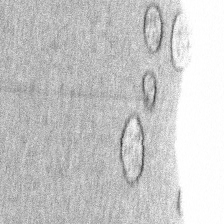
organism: Human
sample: HeLa cells